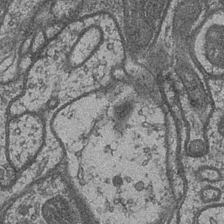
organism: Drosophila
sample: Optic medulla